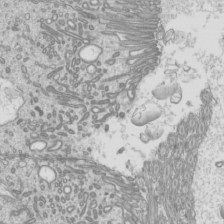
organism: Mouse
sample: Cilia; mouse epididymis